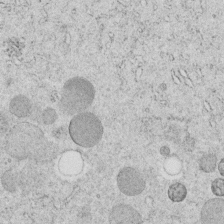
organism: C. elegans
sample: C. elegans embryo early stage